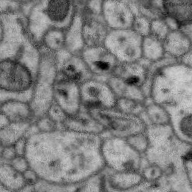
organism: Zebra finch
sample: Brain